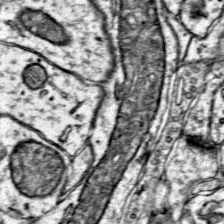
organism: Mouse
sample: Primary visual cortex